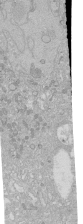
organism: Human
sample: Caco-2 cells